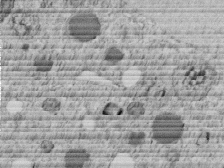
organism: C. elegans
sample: C. elegans embryo early stage